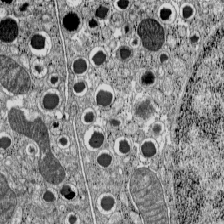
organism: C57BL Mouse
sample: Pancreatic islet